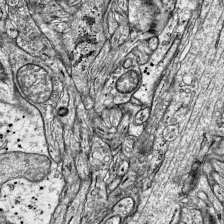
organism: Mouse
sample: Visual Cortex